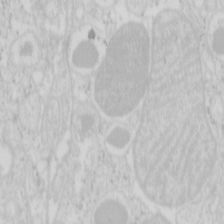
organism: Mouse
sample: Pancreas